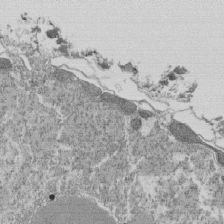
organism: Tetrahymena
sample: Cilia in tetrahymena